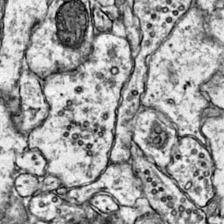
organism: Mouse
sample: Primary visual cortex